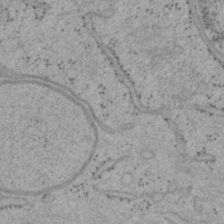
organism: Human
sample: HeLa cells